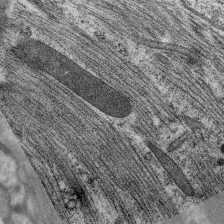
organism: C. elegans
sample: Pharynx